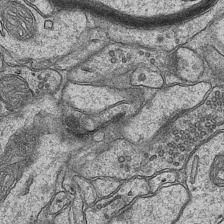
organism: Mouse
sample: CA1 Hippocampus